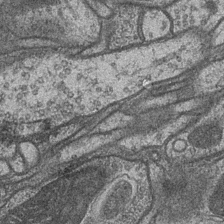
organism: Drosophila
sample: Optic medulla